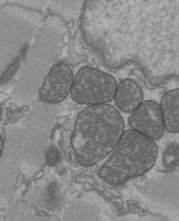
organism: C57BL Mouse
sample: Heart